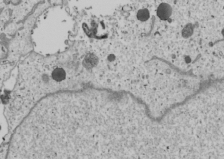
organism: Human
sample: Mitochondria in U2OS cells